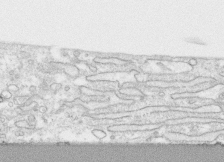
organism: Human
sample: CRL-1474